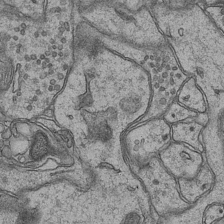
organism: Mouse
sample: CA1 Hippocampus